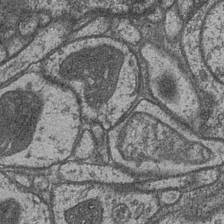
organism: Drosophila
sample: Optic medulla